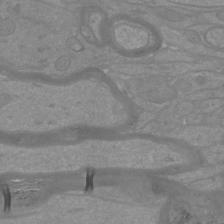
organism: Mouse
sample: Cortical neurons